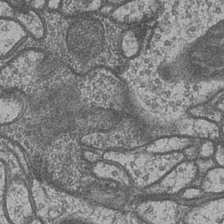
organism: Drosophila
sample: Optic medulla